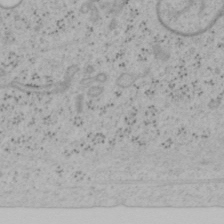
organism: Human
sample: HeLa cells